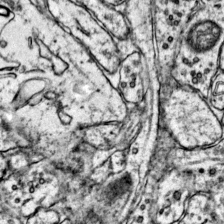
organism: Mouse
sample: Primary visual cortex